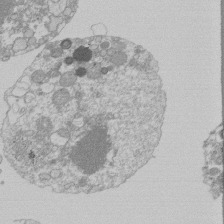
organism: Mouse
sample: Activated Pmel transgenic CD8+ T Cells